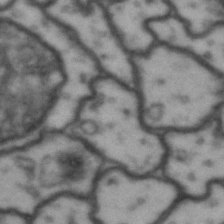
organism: Drosophila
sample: Brain